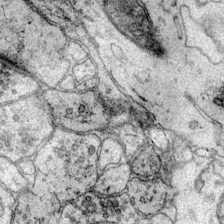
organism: Mouse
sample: Primary visual cortex